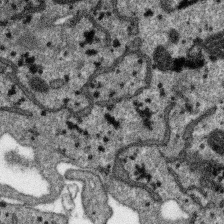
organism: Human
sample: Lung epithelial cells infected with SARS-CoV-2